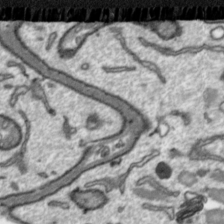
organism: Toxoplasma gondii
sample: Parasites in a vacuole inside a host cell